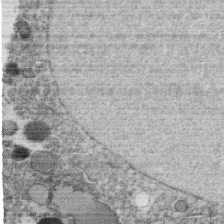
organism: C. elegans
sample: C. elegans oocyte; sperm cells